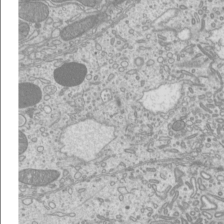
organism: Mouse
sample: Cilia; mouse epididymis